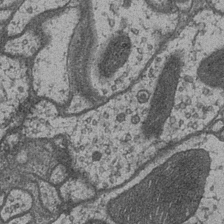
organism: Drosophila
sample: Optic medulla